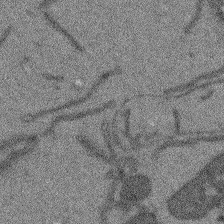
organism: Arabidopsis thaliana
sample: Root tip